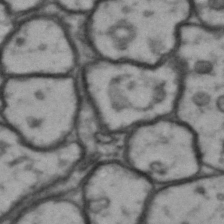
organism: Drosophila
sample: Brain